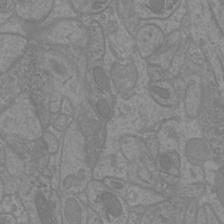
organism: Mouse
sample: Cortical neurons